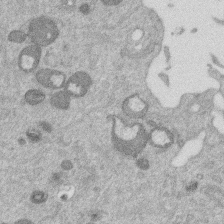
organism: Mouse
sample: Dividing mouse embryo 1 cell stage